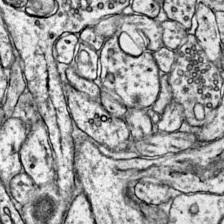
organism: Mouse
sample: Primary visual cortex